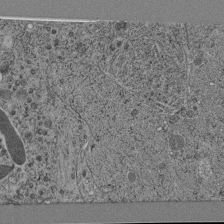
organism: C. elegans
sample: C. elegans pharynx